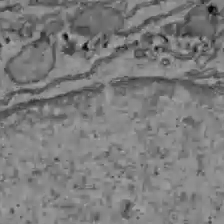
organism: C57BL Mouse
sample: Liver